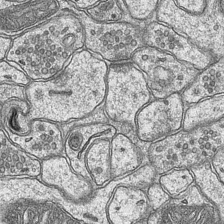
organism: Mouse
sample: CA1 Hippocampus